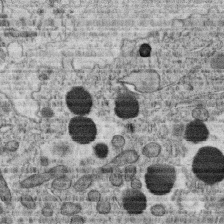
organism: C. elegans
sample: C. elegans oocyte; sperm cells